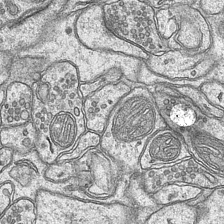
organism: Mouse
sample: CA1 Hippocampus